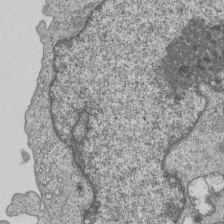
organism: Human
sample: MDA-MB-231 cells